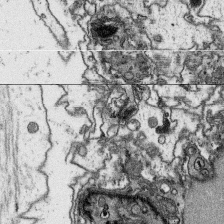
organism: Platynereis dumerilii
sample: Parapodia